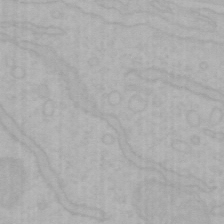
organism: Mouse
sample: Choroid plexus